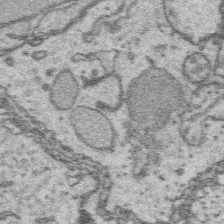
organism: Platynereis dumerilii